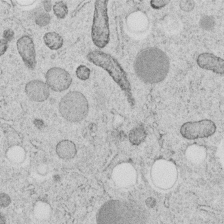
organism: C. elegans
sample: C. elegans embryo early stage